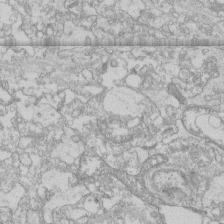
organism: Human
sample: CRL-1474